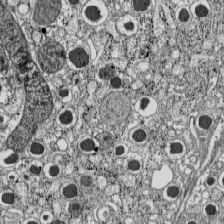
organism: C57BL Mouse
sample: Pancreatic islet